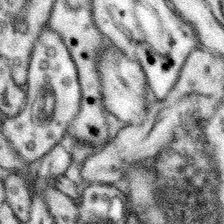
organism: Mouse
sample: Somatosensory cortex neuropil